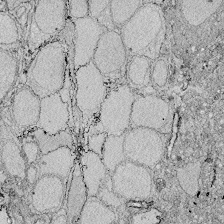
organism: Zebrafish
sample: Whole-Brain